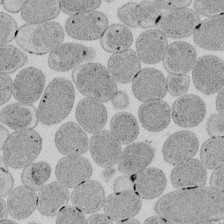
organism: E. coli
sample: Bacterial nucleoid